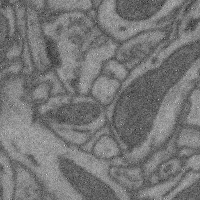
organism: Mouse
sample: Cerebral cortex